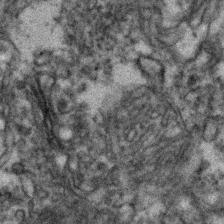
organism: Zebrafish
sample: Zebrafish embryo